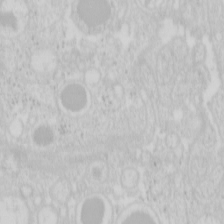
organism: Mouse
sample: Pancreas